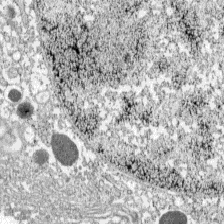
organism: C57BL Mouse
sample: Pancreatic islet